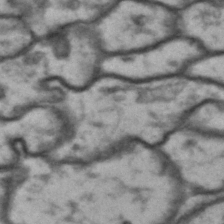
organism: Drosophila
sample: Brain